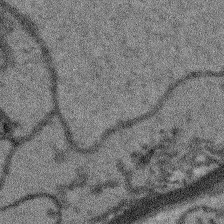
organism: Arabidopsis thaliana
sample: Root tip